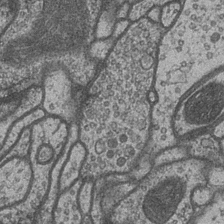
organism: Drosophila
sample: Optic medulla